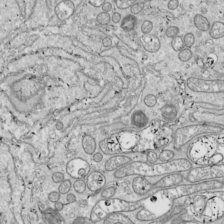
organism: Drosophila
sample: Cell division; meiosis; drosophila spermatocytes